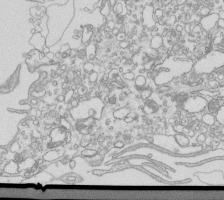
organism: Mouse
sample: Macrophages